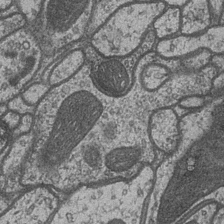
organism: Drosophila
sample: Optic medulla